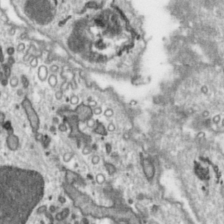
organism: Toxoplasma gondii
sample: Parasites in a vacuole inside a host cell